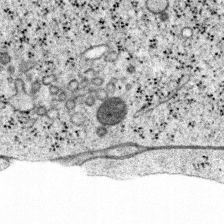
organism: Human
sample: HeLa cells